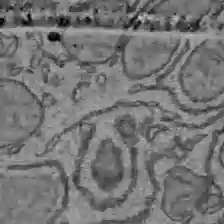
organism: C57BL Mouse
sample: Liver